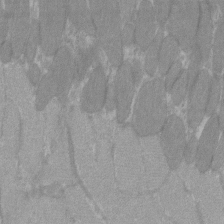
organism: C57BL Mouse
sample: Tibialis anterior muscle cell